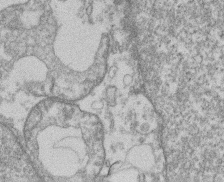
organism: Mouse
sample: T cell stromal cell synapse